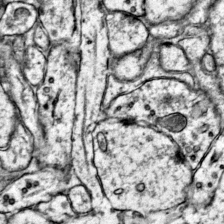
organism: Mouse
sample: Primary visual cortex